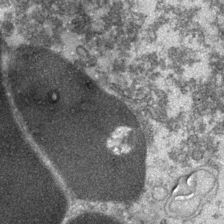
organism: Zebrafish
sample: Zebrafish embryo